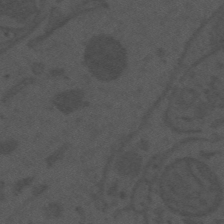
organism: Mouse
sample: Suprachiasmatic nucleus